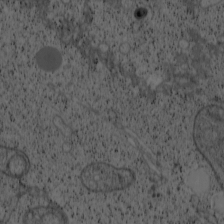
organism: African green monkey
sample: COS-7 cells